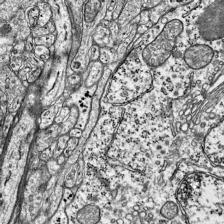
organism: Mouse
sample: Visual Cortex